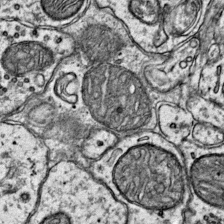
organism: Mouse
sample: Primary visual cortex